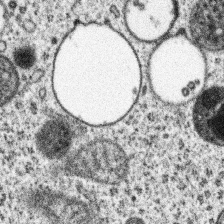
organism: Human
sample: HeLa cells